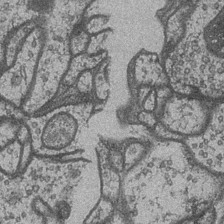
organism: Drosophila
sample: Optic medulla